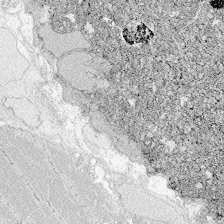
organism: Zebrafish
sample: Whole-Brain